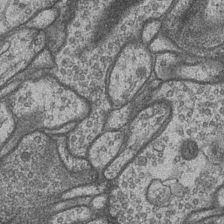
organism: Drosophila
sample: Optic medulla